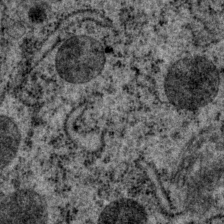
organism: P. pacificus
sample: Pharynx